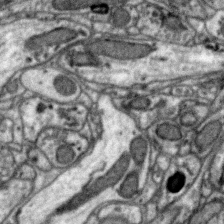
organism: Zebra finch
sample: Brain